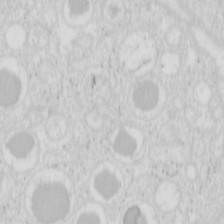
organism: Mouse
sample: Pancreas